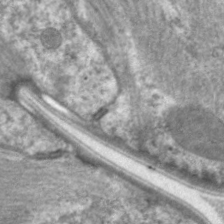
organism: C. elegans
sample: Pharynx